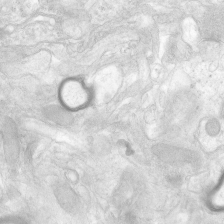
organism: Human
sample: Neocortex